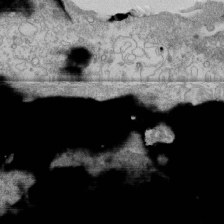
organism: Human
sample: Fibroblast cells